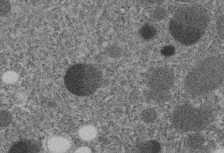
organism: C. elegans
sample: C. elegans embryo early stage